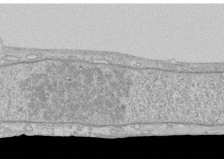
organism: Human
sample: CRL-1474